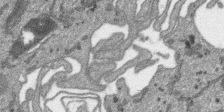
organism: Human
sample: Lung epithelial cells infected with SARS-CoV-2